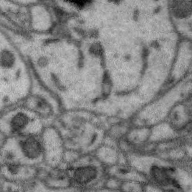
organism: Zebra finch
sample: Brain